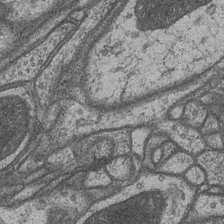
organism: Drosophila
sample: Optic medulla